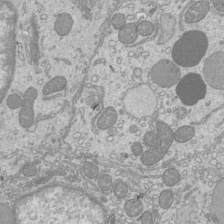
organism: Mouse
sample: Cilia; mouse epididymis